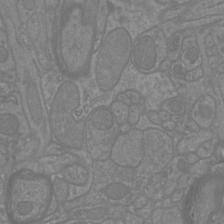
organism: Mouse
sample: Cortical neurons